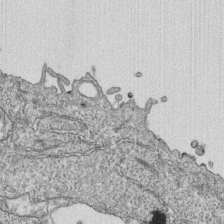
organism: Human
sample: HeLa cell HIV synapse